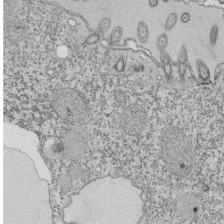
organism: Tetrahymena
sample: Cilia in tetrahymena